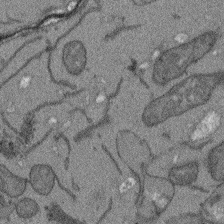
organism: Arabidopsis thaliana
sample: Root tip